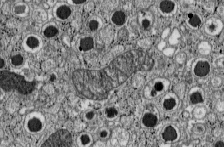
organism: C57BL Mouse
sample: Pancreatic islet